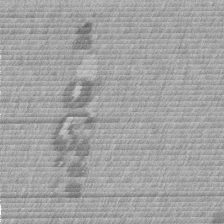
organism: Mouse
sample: Dividing mouse embryo 1 cell stage